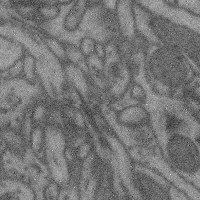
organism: Mouse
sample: Cerebral cortex